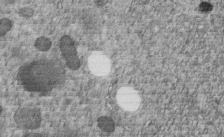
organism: C. elegans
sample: C. elegans embryo early stage